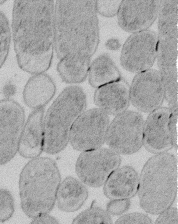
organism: E. coli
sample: Bacterial nucleoid